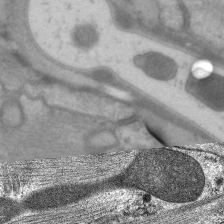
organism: C. elegans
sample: Pharynx